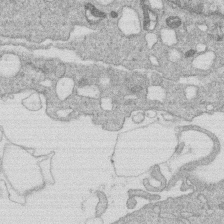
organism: Human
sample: Macrophage cells